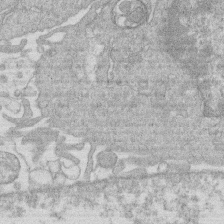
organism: Human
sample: Macrophage cells